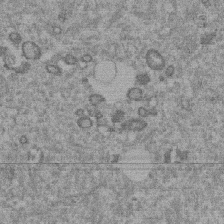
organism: Mouse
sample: Dividing mouse embryo 1 cell stage